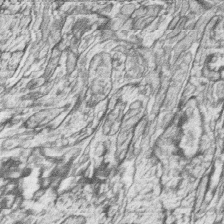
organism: Zebrafish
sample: synaptic ribbons in rod cells and cone cells